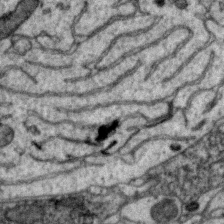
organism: Zebra finch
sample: Brain